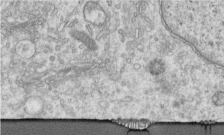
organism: Human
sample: Centriole in RPE cells